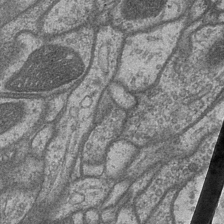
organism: Drosophila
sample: Optic medulla